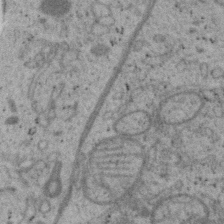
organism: Human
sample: HeLa cells